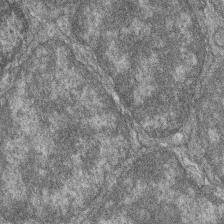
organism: Zebrafish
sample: Cilia; retinal pigment epithelium